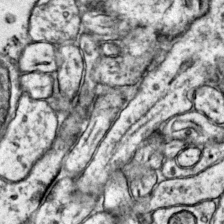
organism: Mouse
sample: Primary visual cortex